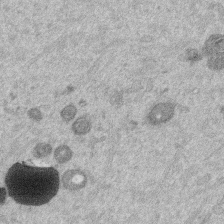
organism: Mouse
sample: Dividing mouse embryo 1 cell stage